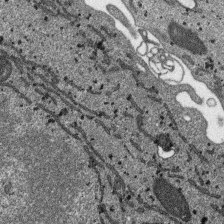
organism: Human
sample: Lung epithelial cells infected with SARS-CoV-2